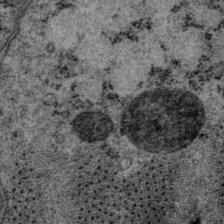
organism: P. pacificus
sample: Pharynx